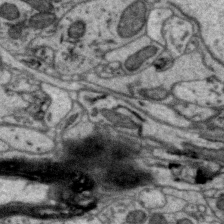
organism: Zebra finch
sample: Brain